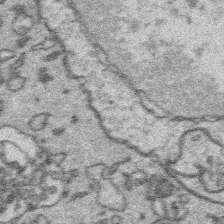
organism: Platynereis dumerilii